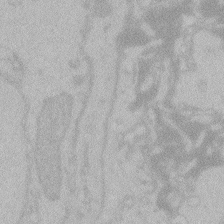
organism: Zebrafish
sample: Macrophage infected with Toxoplasma gondii